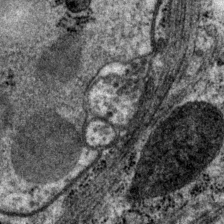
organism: P. pacificus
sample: Pharynx